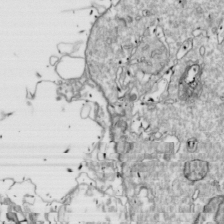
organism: Drosophila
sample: Cell division; meiosis; drosophila spermatocytes